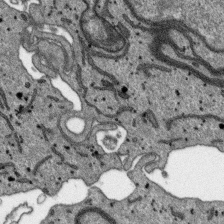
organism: Human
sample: Lung epithelial cells, uninfected (mock) control